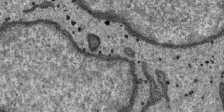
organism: Human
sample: Lung epithelial cells, uninfected (mock) control